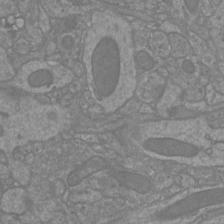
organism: Mouse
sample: Cortical neurons